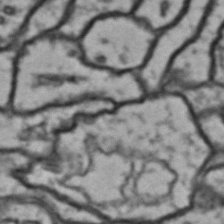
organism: Drosophila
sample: Brain